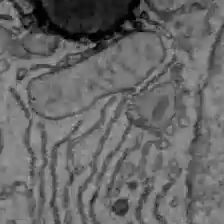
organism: C57BL Mouse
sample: Liver